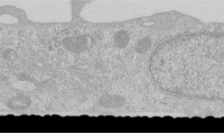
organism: Human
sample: Centriole in RPE cells